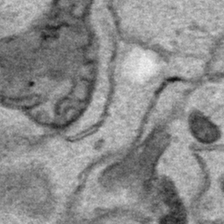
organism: Human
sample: Mitochondria in HCT116 cells